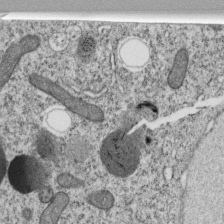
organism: C. elegans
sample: C. elegans embryo early stage